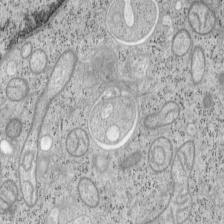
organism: Mouse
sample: OT-I killer T cells with ID8 ovarian cancer cells